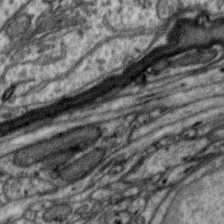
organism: Zebra finch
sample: Brain